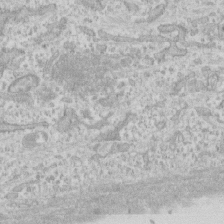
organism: Human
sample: CRL-1474